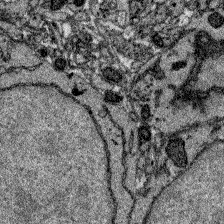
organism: Zebrafish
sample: Larval olfactory bulb